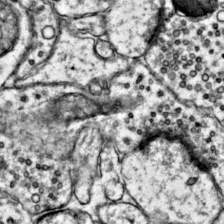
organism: Mouse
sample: Primary visual cortex